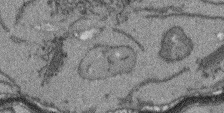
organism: Arabidopsis thaliana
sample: Root tip